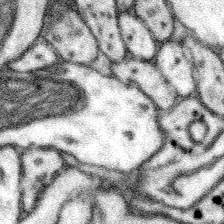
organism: Mouse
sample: Somatosensory cortex neuropil